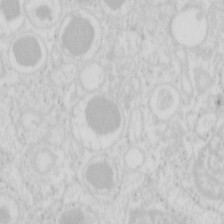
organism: Mouse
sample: Pancreas